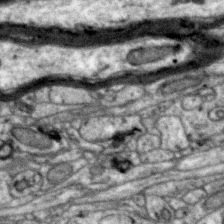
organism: Zebra finch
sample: Brain